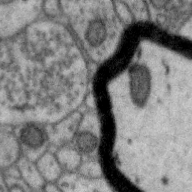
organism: Zebra finch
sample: Brain